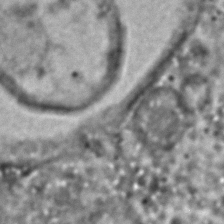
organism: C. elegans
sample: C. elegans embryo